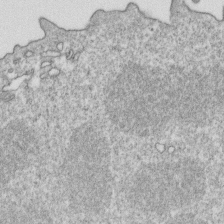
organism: Mouse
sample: Activated OT-1 CD8+ T cells